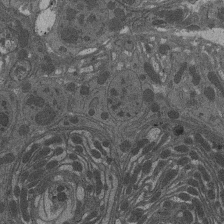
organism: Drosophila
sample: Antenna